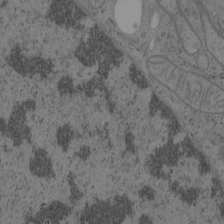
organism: Mouse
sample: OT-I killer T cells with ID8 ovarian cancer cells